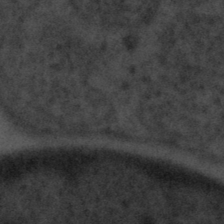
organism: Tuwongella immobilis